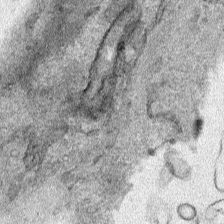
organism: Human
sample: Mitochondria in HCT116 cells